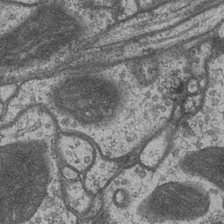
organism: Drosophila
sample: Optic medulla